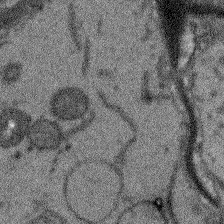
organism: Arabidopsis thaliana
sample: Root tip